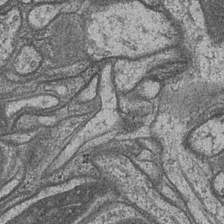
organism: Drosophila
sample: Optic medulla